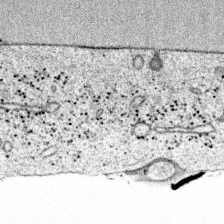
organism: Human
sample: HeLa cells